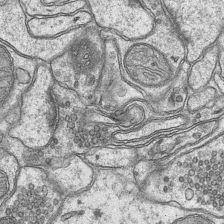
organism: Mouse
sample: CA1 Hippocampus